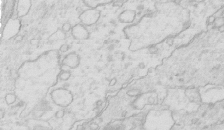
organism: Mouse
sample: Multiciliated cells